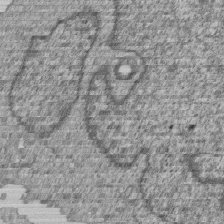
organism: Human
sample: MDA-MB-231 cells